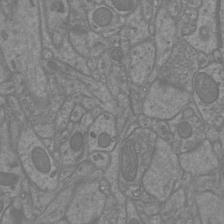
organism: Mouse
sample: Cortical neurons